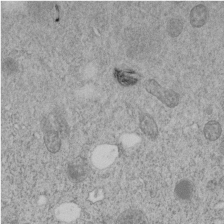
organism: C. elegans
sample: C. elegans embryo early stage